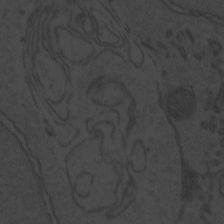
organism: Zebrafish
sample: Macrophage infected with Toxoplasma gondii